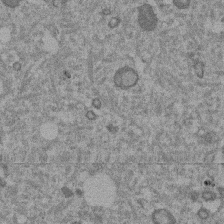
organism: Mouse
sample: Dividing mouse embryo 1 cell stage